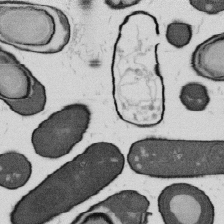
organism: B. subtilis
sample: Bacterial spore